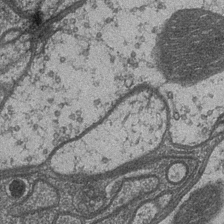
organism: Drosophila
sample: Optic medulla